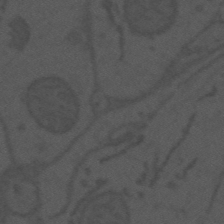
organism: Mouse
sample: Suprachiasmatic nucleus